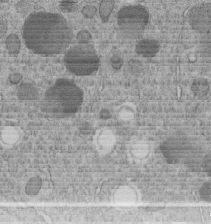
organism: C. elegans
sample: C. elegans embryo early stage